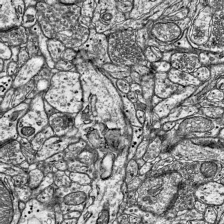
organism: Mouse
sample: Visual Cortex